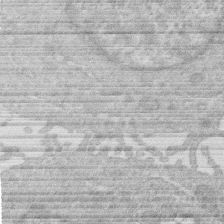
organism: Human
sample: Macrophage cells